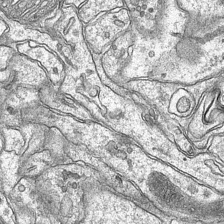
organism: Mouse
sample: CA1 Hippocampus